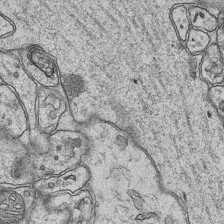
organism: Mouse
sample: CA1 Hippocampus